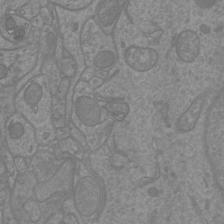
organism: Mouse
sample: Cortical neurons